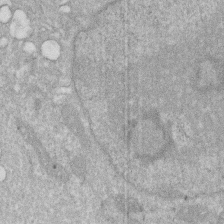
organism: Human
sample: HIV infected U937 cells